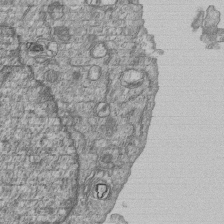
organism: Human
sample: MDA-MB-231 cells